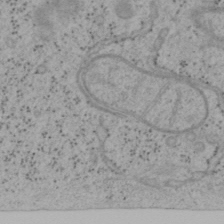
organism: Human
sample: HeLa cells